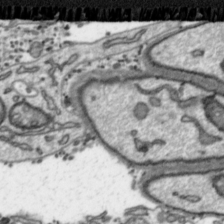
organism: Toxoplasma gondii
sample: Parasites in a vacuole inside a host cell